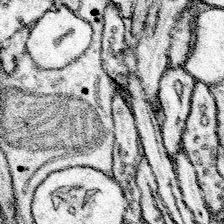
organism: Mouse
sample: Somatosensory cortex neuropil